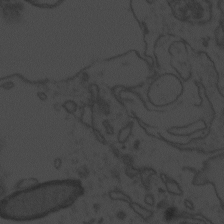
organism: Zebrafish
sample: Macrophage infected with Toxoplasma gondii